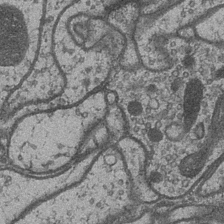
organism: Drosophila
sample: Optic medulla